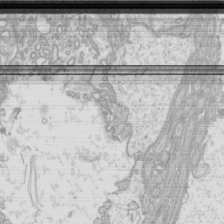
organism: Mouse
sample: Cilia; mouse epididymis